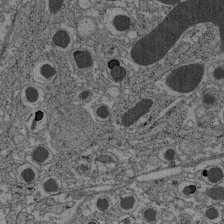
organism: C57BL Mouse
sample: Pancreatic islet